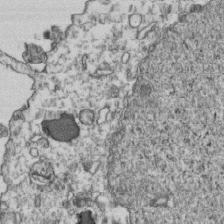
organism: Human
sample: Activated Jurkat CD4+ T cells